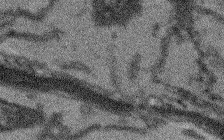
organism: Arabidopsis thaliana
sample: Root tip